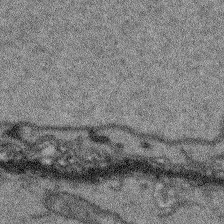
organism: Arabidopsis thaliana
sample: Root tip